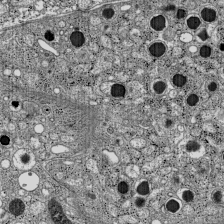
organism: C57BL Mouse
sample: Pancreatic islet